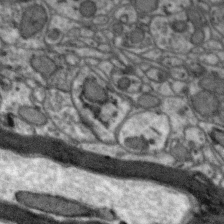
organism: Zebra finch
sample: Brain